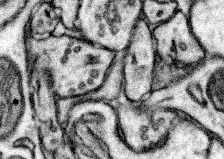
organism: Mouse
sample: Somatosensory cortex neuropil